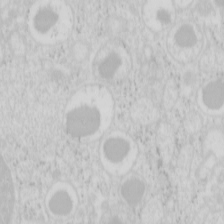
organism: Mouse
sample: Pancreas